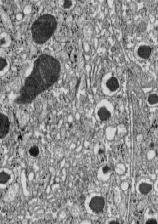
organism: C57BL Mouse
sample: Pancreatic islet